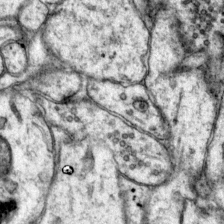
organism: Mouse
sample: Primary visual cortex